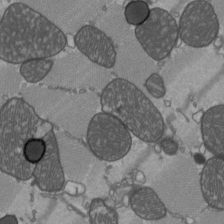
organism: C57BL Mouse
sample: Heart